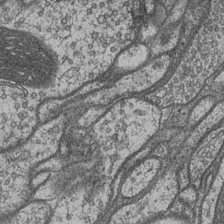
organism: Drosophila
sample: Optic medulla